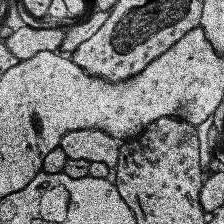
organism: Human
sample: Temporal Lobe